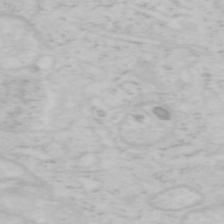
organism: Mouse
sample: OT-I killer T cells with ID8 ovarian cancer cells